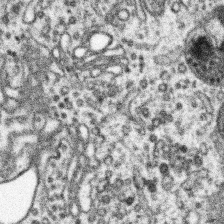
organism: Human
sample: HeLa cells